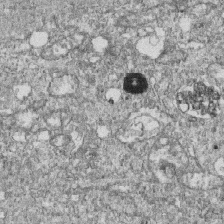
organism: Human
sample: HeLa cell HIV synapse